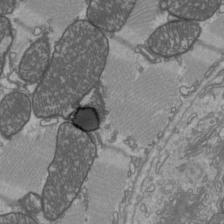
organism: C57BL Mouse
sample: Heart